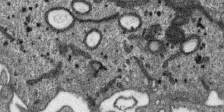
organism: Human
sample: Lung epithelial cells infected with SARS-CoV-2